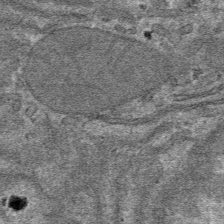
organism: Mouse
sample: Mouse hepatocytes